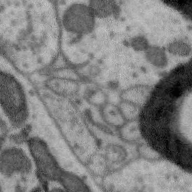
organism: Zebra finch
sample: Brain